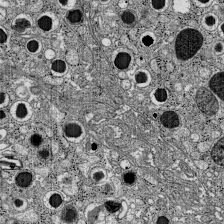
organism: C57BL Mouse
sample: Pancreatic islet